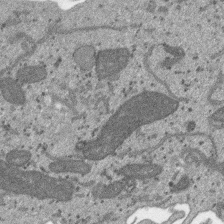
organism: Human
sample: Lung epithelial cells infected with SARS-CoV-2